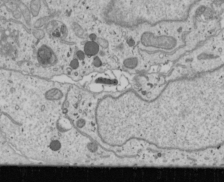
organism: Human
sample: Mitochondria in U2OS cells